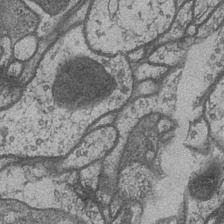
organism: Drosophila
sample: Optic medulla